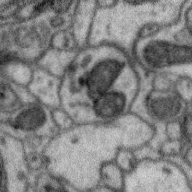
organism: Zebra finch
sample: Brain